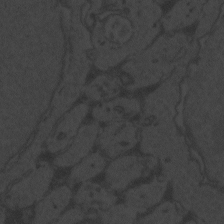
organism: Zebrafish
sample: Macrophage infected with Toxoplasma gondii